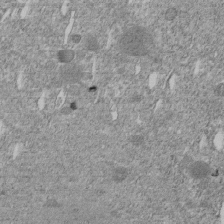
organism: C. elegans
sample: C. elegans embryo early stage